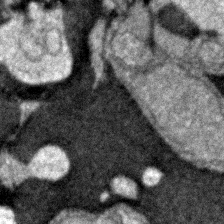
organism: Zebrafish